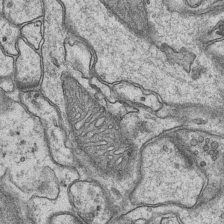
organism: Mouse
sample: CA1 Hippocampus